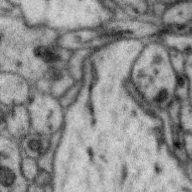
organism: Zebra finch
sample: Brain